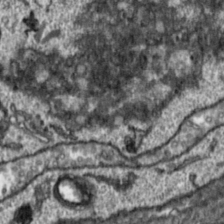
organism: Toxoplasma gondii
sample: Parasites in a vacuole inside a host cell